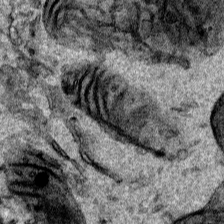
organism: Human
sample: Mitochondria in HCT116 cells